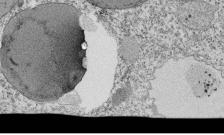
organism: Tetrahymena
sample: Cilia in tetrahymena